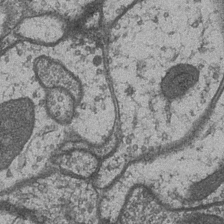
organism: Drosophila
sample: Optic medulla